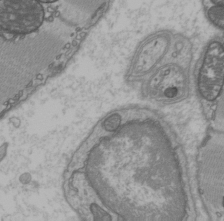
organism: C57BL Mouse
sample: Heart